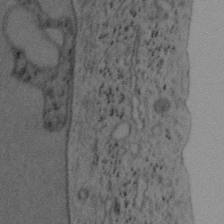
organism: Human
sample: HeLa cells